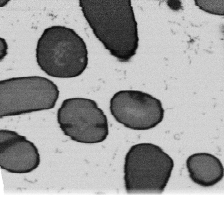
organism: B. subtilis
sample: Bacterial spore